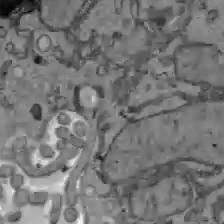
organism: C57BL Mouse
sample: Liver